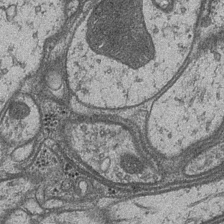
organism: Drosophila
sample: Optic medulla